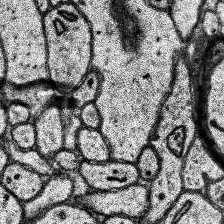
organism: Human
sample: Temporal Lobe